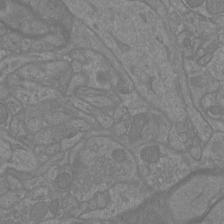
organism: Mouse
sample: Cortical neurons